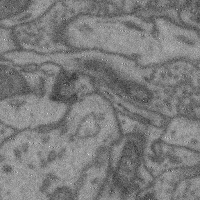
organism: Mouse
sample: Cerebral cortex